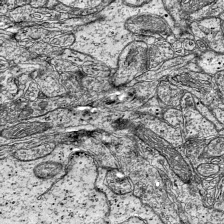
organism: Mouse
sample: Visual Cortex